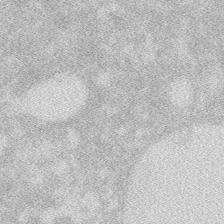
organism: Zebrafish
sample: Macrophage